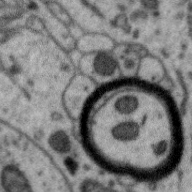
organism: Zebra finch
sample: Brain